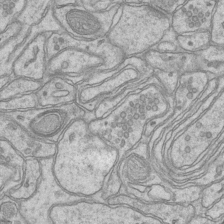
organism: Mouse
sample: CA1 Hippocampus